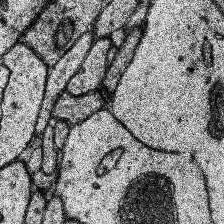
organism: Human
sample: Temporal Lobe